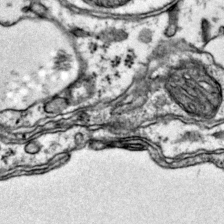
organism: Mouse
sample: Primary visual cortex